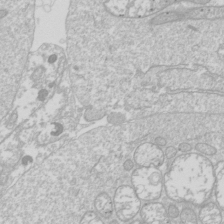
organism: Drosophila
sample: Cell division; meiosis; drosophila spermatocytes